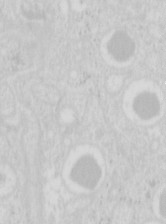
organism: Mouse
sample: Pancreas